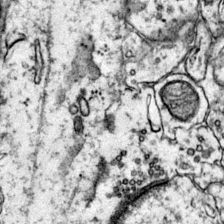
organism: Mouse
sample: Primary visual cortex